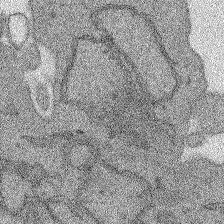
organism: Human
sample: HeLa cells